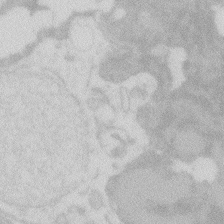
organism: Zebrafish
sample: Macrophage